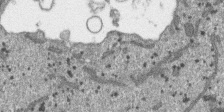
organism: Human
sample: Lung epithelial cells infected with SARS-CoV-2